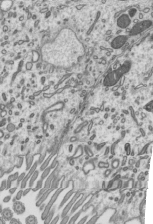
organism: Mouse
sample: Mouse epididymis efferent ductule cilia